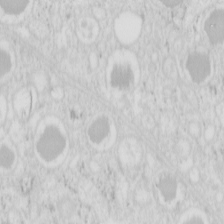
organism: Mouse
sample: Pancreas